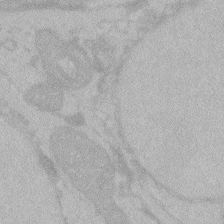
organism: Zebrafish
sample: Macrophage infected with Toxoplasma gondii